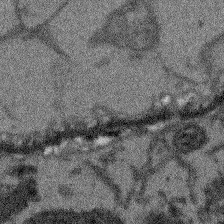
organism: Arabidopsis thaliana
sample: Root tip